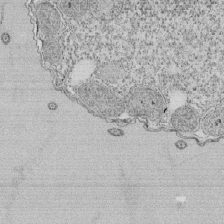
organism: Tetrahymena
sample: Cilia in tetrahymena